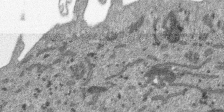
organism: Human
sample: Lung epithelial cells infected with SARS-CoV-2